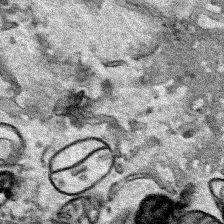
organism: Human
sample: Mitochondria in HCT116 cells